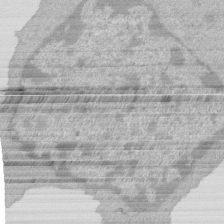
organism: Mouse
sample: Activated Pmel transgenic CD8+ T Cells